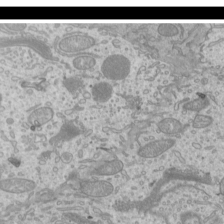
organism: Mouse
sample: Cilia; mouse epididymis